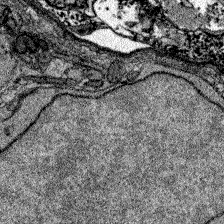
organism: Zebrafish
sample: Larval olfactory bulb